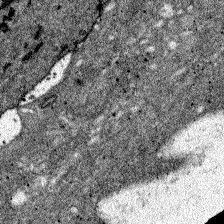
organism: Zebrafish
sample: Larval olfactory bulb